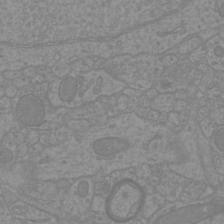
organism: Mouse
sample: Cortical neurons